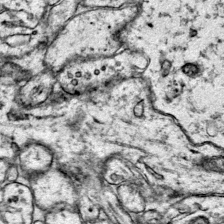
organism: Mouse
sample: Primary visual cortex